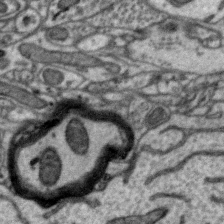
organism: Zebra finch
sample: Brain